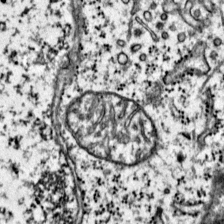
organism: Mouse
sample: Primary visual cortex